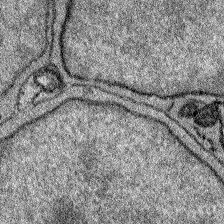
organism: Zebrafish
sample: Larval olfactory bulb